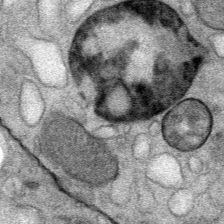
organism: Mouse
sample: Mouse Salivary gland